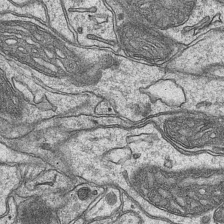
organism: Mouse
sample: CA1 Hippocampus